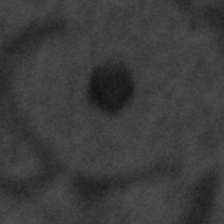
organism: Tuwongella immobilis